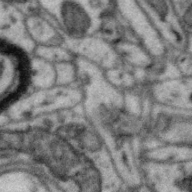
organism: Zebra finch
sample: Brain